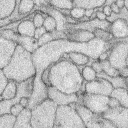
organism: Rabbit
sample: Retina